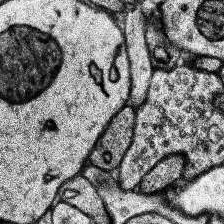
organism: Human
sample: Temporal Lobe